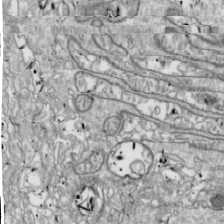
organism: Drosophila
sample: Cell division; meiosis; drosophila spermatocytes